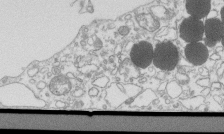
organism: Mouse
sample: Macrophages